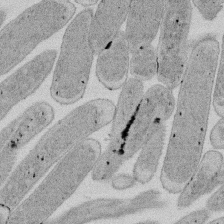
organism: E. coli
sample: Bacterial nucleoid